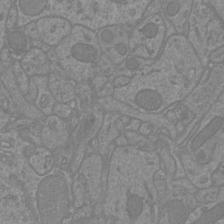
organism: Mouse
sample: Cortical neurons